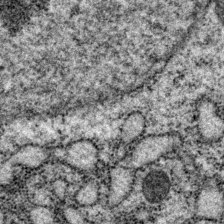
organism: P. pacificus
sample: Pharynx